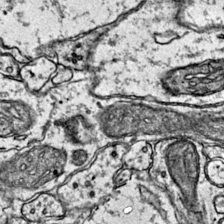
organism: Mouse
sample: Primary visual cortex